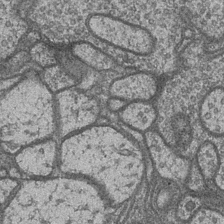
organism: Drosophila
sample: Optic medulla